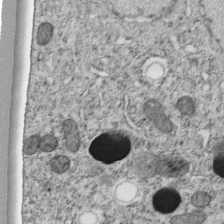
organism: C. elegans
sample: C. elegans embryo early stage